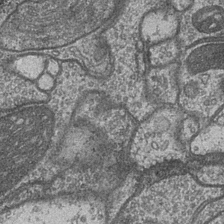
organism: Drosophila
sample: Optic medulla